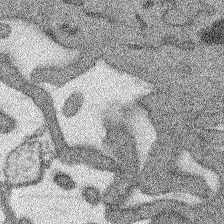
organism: Human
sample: HeLa cells